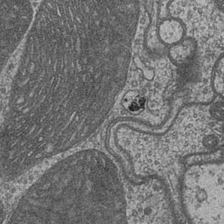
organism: Drosophila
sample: Optic medulla